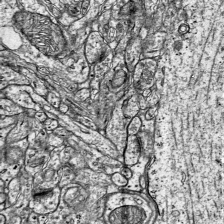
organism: Mouse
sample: Visual Cortex